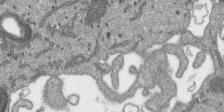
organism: Human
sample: Lung epithelial cells infected with SARS-CoV-2